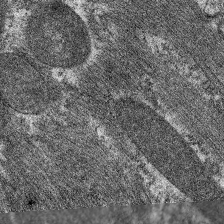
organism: C. elegans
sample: Pharynx